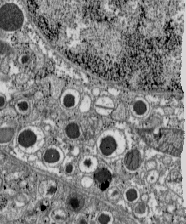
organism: C57BL Mouse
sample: Pancreatic islet